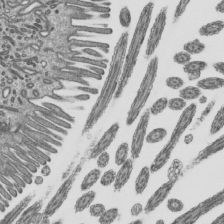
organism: Mouse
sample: Mouse epididymis efferent ductule cilia